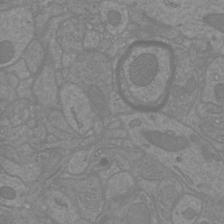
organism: Mouse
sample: Cortical neurons